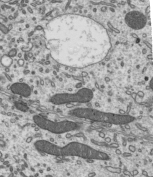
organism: Mouse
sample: Mouse epididymis efferent ductule cilia